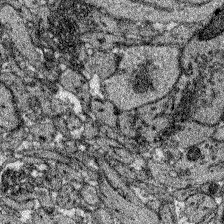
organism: Zebrafish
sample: Larval olfactory bulb